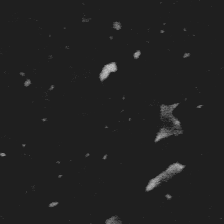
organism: Platynereis dumerilii